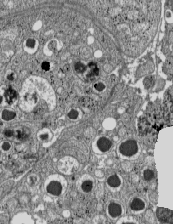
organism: C57BL Mouse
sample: Pancreatic islet